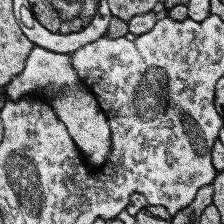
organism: Human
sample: Temporal Lobe